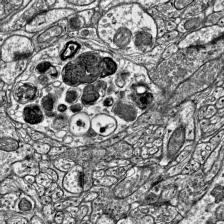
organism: Mouse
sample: Visual Cortex